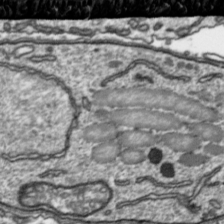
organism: Toxoplasma gondii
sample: Parasites in a vacuole inside a host cell